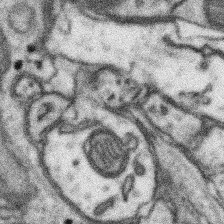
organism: Mouse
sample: Somatosensory cortex neuropil